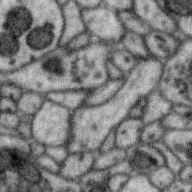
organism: Zebra finch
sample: Brain